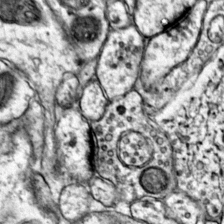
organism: Mouse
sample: Primary visual cortex